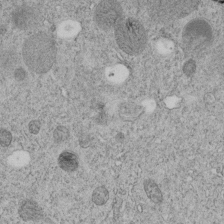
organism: C. elegans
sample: C. elegans embryo early stage